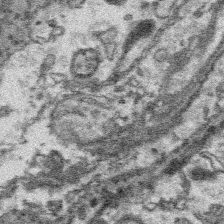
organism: Platynereis dumerilii